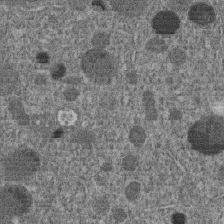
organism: C. elegans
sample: C. elegans embryo early stage